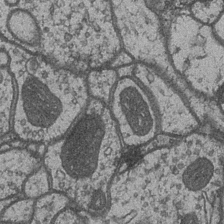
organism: Drosophila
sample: Optic medulla